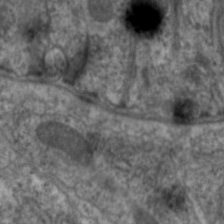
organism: C. elegans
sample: Pharynx